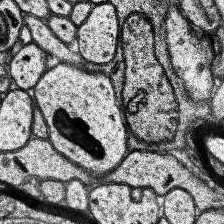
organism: Human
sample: Temporal Lobe